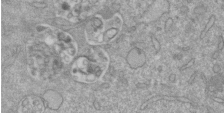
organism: Mouse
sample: ED-1 cell nuclei; centrioles